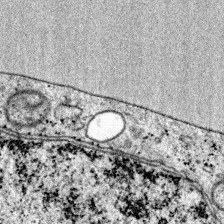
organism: Human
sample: HeLa cells